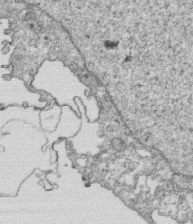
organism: Human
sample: HeLa cell HIV synapse